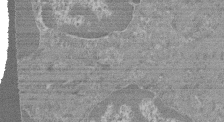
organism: Mouse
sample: Glomerulus